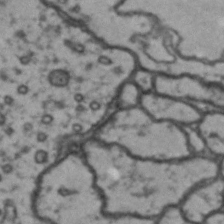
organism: Drosophila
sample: Brain